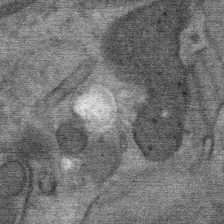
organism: Mouse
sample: Mouse Salivary gland